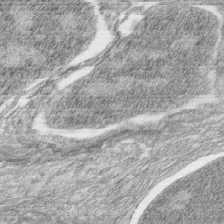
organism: Zebrafish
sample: synaptic ribbons in rod cells and cone cells